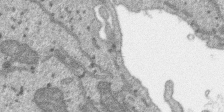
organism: Human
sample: Lung epithelial cells infected with SARS-CoV-2